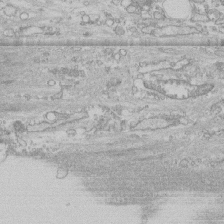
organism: Human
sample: CRL-1474